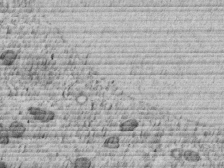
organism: C. elegans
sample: C. elegans embryo early stage